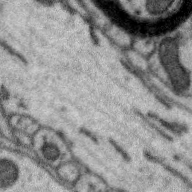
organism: Zebra finch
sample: Brain